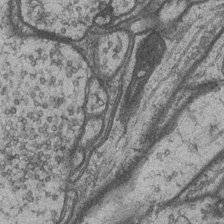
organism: Drosophila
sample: Optic medulla